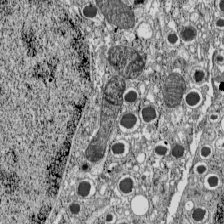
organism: C57BL Mouse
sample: Pancreatic islet